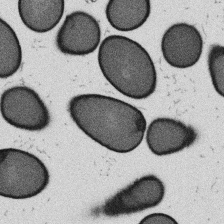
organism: B. subtilis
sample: Bacterial spore